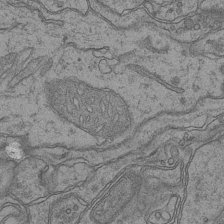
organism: Mouse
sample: CA1 Hippocampus